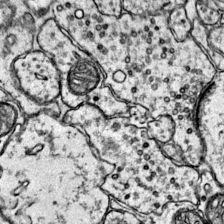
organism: Mouse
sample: Primary visual cortex